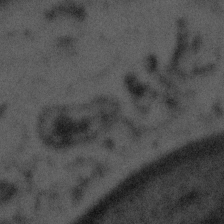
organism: Tuwongella immobilis